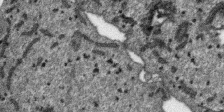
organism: Human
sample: Lung epithelial cells infected with SARS-CoV-2